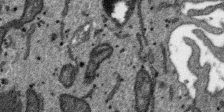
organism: Human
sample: Lung epithelial cells, uninfected (mock) control